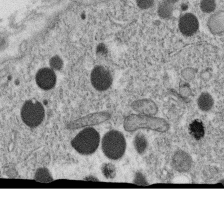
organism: C. elegans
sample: C. elegans oocyte; sperm cells